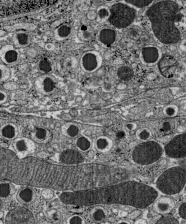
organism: C57BL Mouse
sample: Pancreatic islet